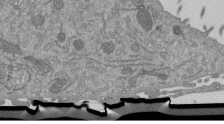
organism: Mouse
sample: ED-1 cell nuclei; centrioles